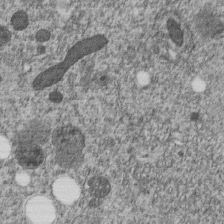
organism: C. elegans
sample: C. elegans embryo early stage